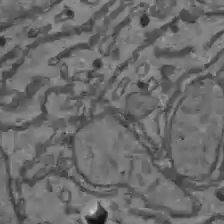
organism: C57BL Mouse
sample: Liver